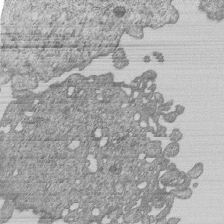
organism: Human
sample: MDA-MB-231 cells